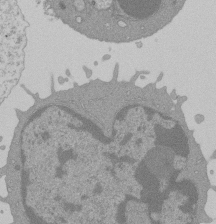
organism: Mouse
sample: Activated Pmel transgenic CD8+ T Cells